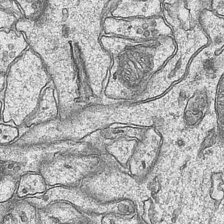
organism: Mouse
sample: CA1 Hippocampus